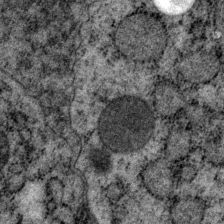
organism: P. pacificus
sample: Pharynx